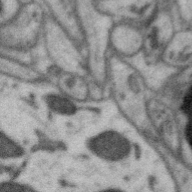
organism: Zebra finch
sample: Brain